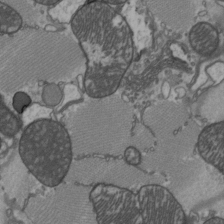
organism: C57BL Mouse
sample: Heart